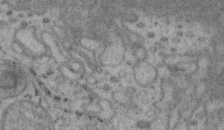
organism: Human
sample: HeLa cells